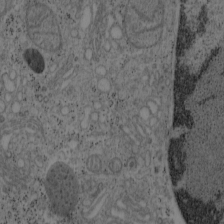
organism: Mouse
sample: OT-I killer T cells with ID8 ovarian cancer cells